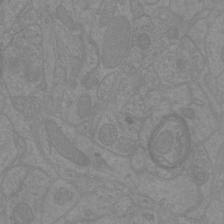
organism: Mouse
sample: Cortical neurons